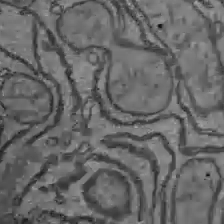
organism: C57BL Mouse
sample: Liver